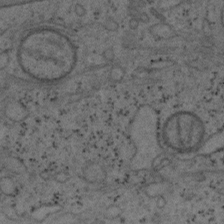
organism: Human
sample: HeLa cells